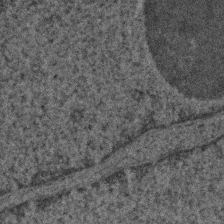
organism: Human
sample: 1205lu cells